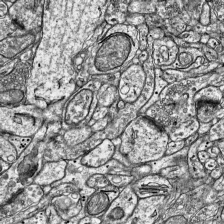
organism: Mouse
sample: Visual Cortex